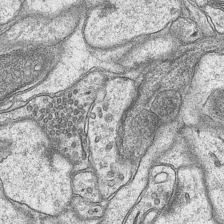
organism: Mouse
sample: CA1 Hippocampus